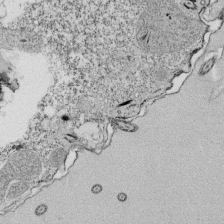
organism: Tetrahymena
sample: Cilia in tetrahymena